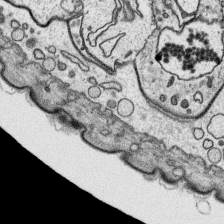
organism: Platynereis dumerilii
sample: Parapodia